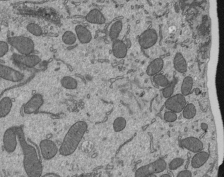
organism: Mouse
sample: Mouse epididymis efferent ductule cilia